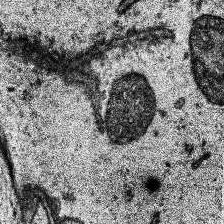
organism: Human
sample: Temporal Lobe